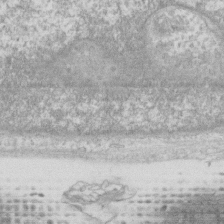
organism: Human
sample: Fibroblast cells